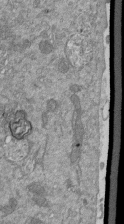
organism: Mouse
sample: ED-1 cell nuclei; centrioles